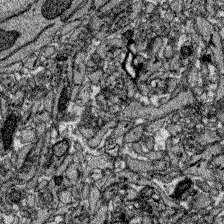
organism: Zebrafish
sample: Larval olfactory bulb